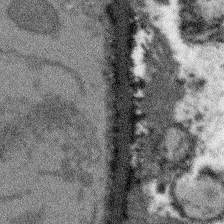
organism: Arabidopsis thaliana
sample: Root tip